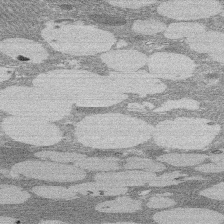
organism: Rat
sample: Salivary granule